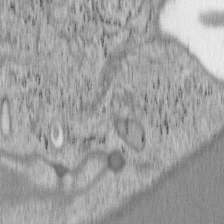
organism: Human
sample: HeLa cells